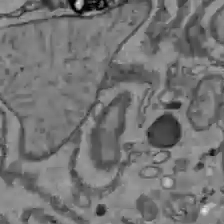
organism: C57BL Mouse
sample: Liver